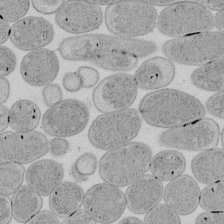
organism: E. coli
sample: Bacterial nucleoid